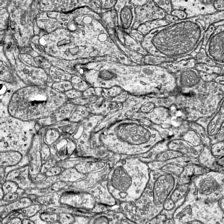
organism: Mouse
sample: Visual Cortex